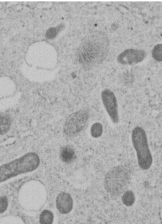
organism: C. elegans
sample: C. elegans embryo early stage